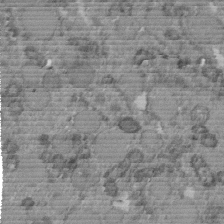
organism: C. elegans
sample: C. elegans embryo early stage